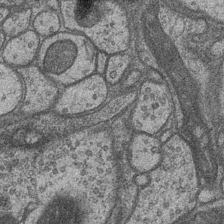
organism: Drosophila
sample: Optic medulla